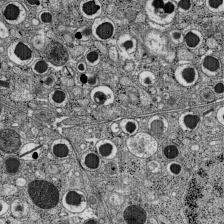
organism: C57BL Mouse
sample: Pancreatic islet